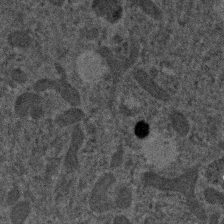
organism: Human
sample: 1205lu cells